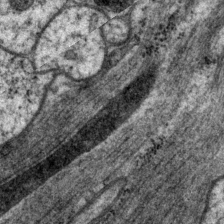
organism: P. pacificus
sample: Pharynx